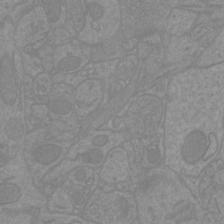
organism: Mouse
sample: Cortical neurons